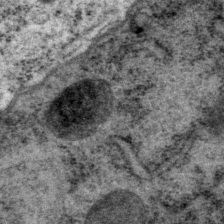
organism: P. pacificus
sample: Pharynx